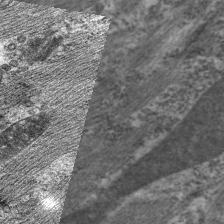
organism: C. elegans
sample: Pharynx